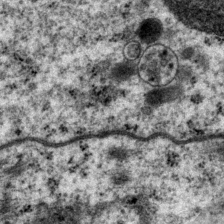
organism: P. pacificus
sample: Pharynx